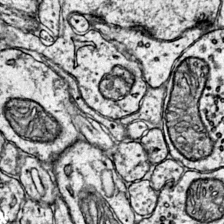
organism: Mouse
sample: Primary visual cortex